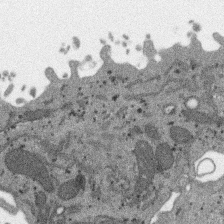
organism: Human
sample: Lung epithelial cells infected with SARS-CoV-2